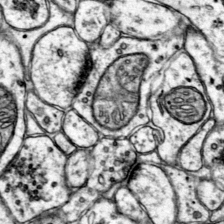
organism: Mouse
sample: Primary visual cortex